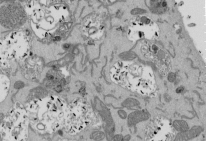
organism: Mouse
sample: ED-1 cell nuclei; centrioles